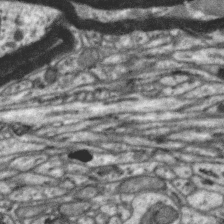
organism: Zebra finch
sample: Brain